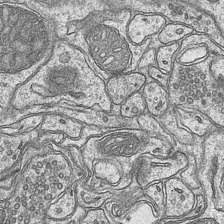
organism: Mouse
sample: CA1 Hippocampus